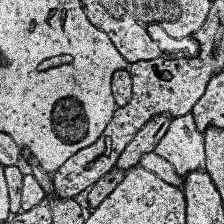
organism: Human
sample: Temporal Lobe